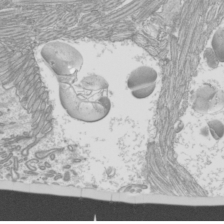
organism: Mouse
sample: Cilia; mouse epididymis